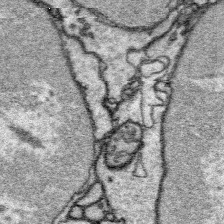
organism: Platynereis dumerilii